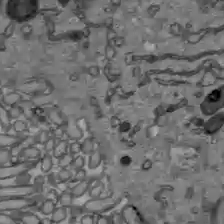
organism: C57BL Mouse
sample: Liver